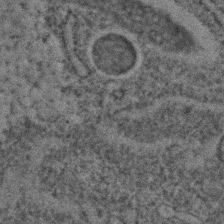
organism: C. elegans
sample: C. elegans embryo